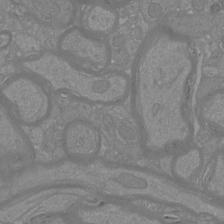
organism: Mouse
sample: Cortical neurons